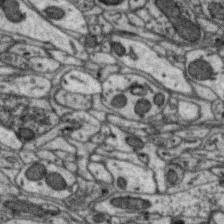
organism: Zebra finch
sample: Brain